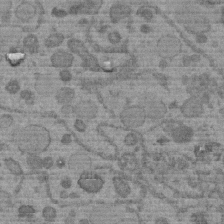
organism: C. elegans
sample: C. elegans embryo early stage